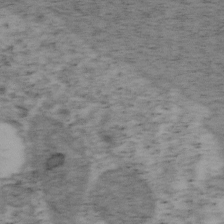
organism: Mouse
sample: OT-I killer T cells with ID8 ovarian cancer cells